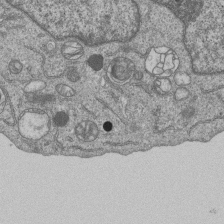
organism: Human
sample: MDA-MB-231 cells